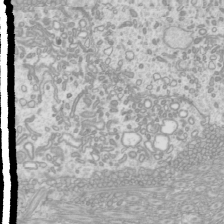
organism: Mouse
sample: Cilia; mouse epididymis